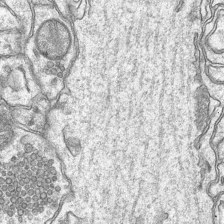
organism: Mouse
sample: CA1 Hippocampus